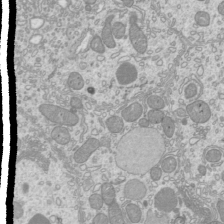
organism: Mouse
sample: Cilia; mouse epididymis